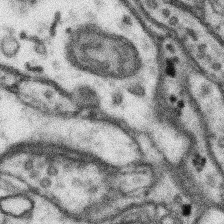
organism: Mouse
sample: Somatosensory cortex neuropil